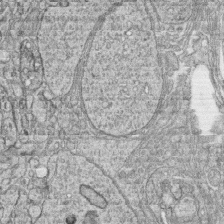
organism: Zebrafish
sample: synaptic ribbons in rod cells and cone cells